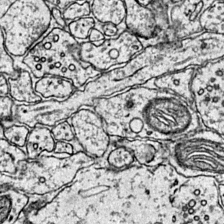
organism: Mouse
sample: Primary visual cortex